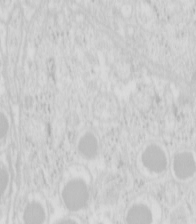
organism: Mouse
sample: Pancreas